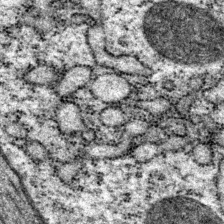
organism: P. pacificus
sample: Pharynx